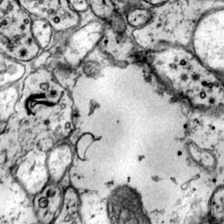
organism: Mouse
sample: Primary visual cortex